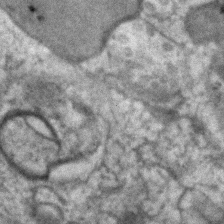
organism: Human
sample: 1205lu cells